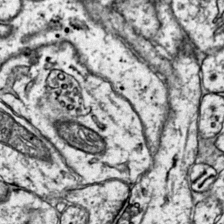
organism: Mouse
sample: Primary visual cortex